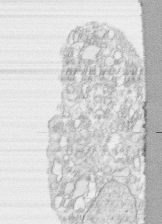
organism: Human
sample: CRL-1474